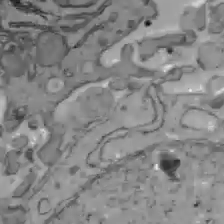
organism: C57BL Mouse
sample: Liver